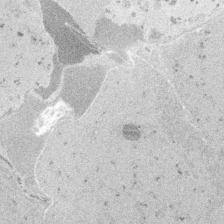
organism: Embia sp.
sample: Silk gland